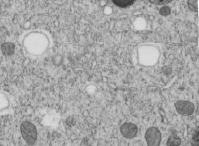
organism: C. elegans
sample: C. elegans embryo early stage